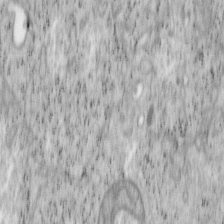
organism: Human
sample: HeLa cells